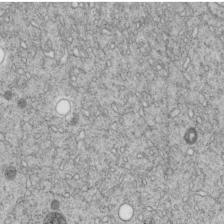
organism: C. elegans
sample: C. elegans embryo early stage